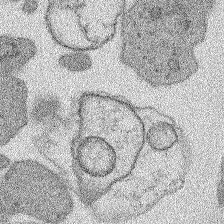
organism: Human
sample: HeLa cells